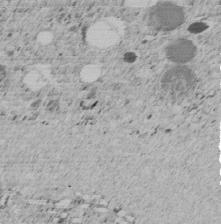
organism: C. elegans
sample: C. elegans embryo early stage